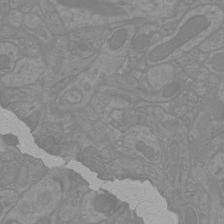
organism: Mouse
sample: Cortical neurons